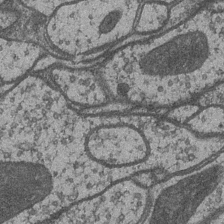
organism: Drosophila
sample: Optic medulla